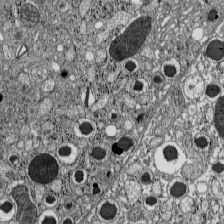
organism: C57BL Mouse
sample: Pancreatic islet